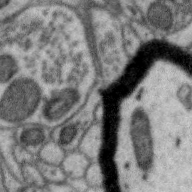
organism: Zebra finch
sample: Brain